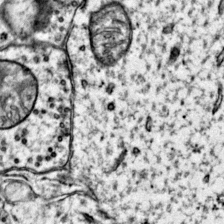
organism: Mouse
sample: Primary visual cortex